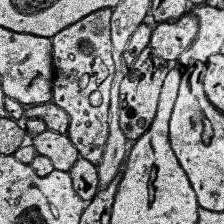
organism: Human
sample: Temporal Lobe